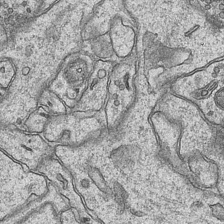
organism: Mouse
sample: CA1 Hippocampus